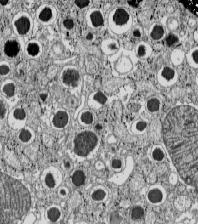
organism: C57BL Mouse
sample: Pancreatic islet